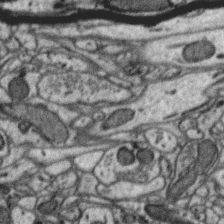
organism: Zebra finch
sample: Brain